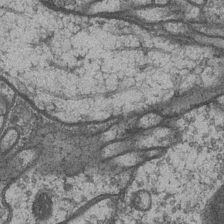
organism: Drosophila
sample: Optic medulla